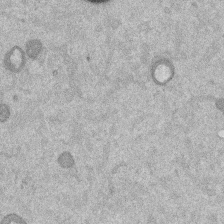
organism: Mouse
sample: Dividing mouse embryo 1 cell stage